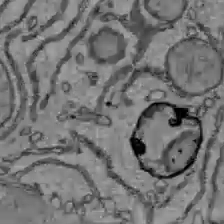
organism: C57BL Mouse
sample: Liver